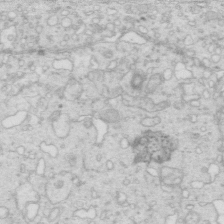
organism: Mouse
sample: Multiciliated cells